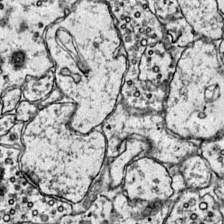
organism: Mouse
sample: Primary visual cortex